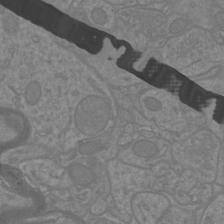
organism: Mouse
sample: Cortical neurons